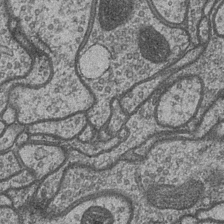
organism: Drosophila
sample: Optic medulla